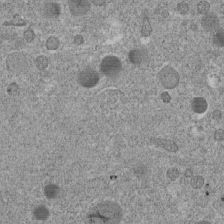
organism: C. elegans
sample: C. elegans embryo early stage